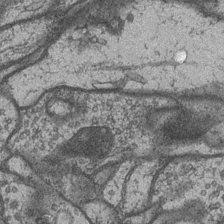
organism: Drosophila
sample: Optic medulla